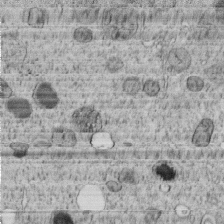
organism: C. elegans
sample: C. elegans embryo early stage